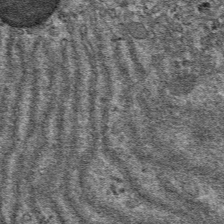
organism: Mouse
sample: Mouse hepatocytes